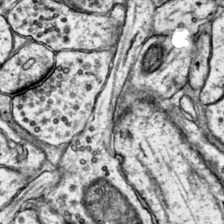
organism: Mouse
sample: Primary visual cortex